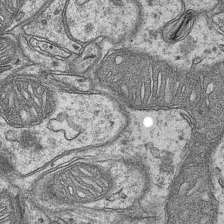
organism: Mouse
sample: CA1 Hippocampus